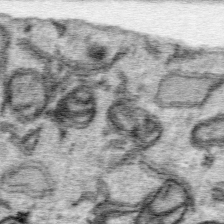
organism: Human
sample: HeLa cells